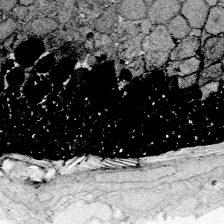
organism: Zebrafish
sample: Whole-Brain